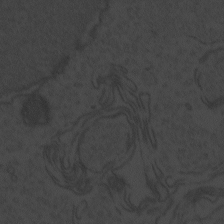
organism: Zebrafish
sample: Macrophage infected with Toxoplasma gondii